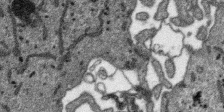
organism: Human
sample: Lung epithelial cells infected with SARS-CoV-2